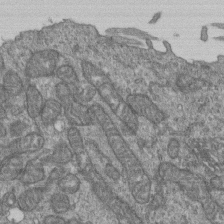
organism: Human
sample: Retinal organoid Rod and Cone cells